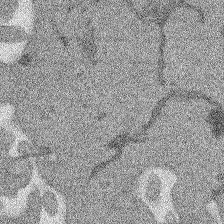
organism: Human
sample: HeLa cells